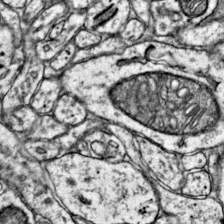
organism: Mouse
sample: Primary visual cortex